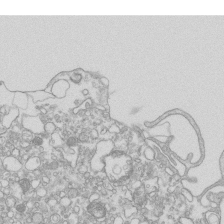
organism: Mouse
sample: Macrophages